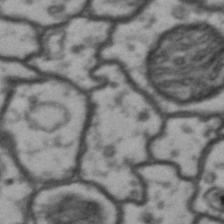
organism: Drosophila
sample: Brain